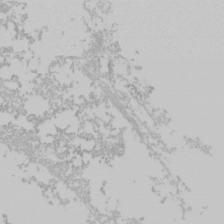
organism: Mouse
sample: Cancer cell death in ED-1 cells